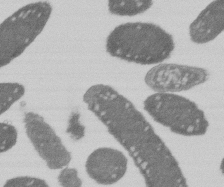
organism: E. coli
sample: Bacterial nucleoid